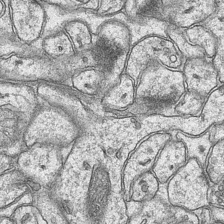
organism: Mouse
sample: CA1 Hippocampus